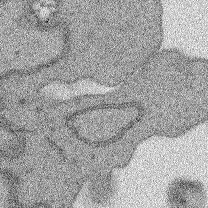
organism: Human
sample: HeLa cells